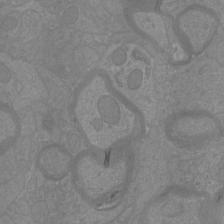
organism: Mouse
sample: Cortical neurons